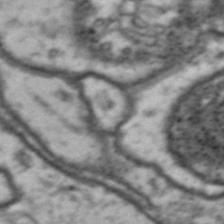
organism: Drosophila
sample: Brain